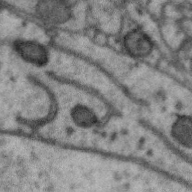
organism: Zebra finch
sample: Brain